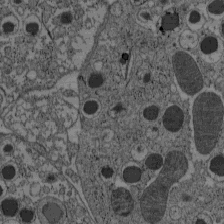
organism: C57BL Mouse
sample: Pancreatic islet